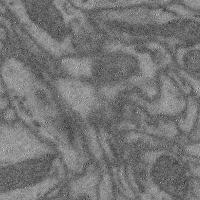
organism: Mouse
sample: Cerebral cortex